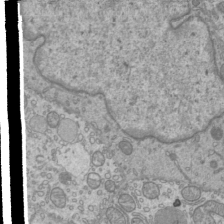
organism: Mouse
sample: Cilia; mouse epididymis